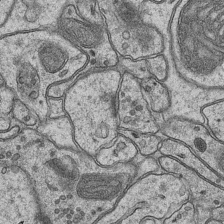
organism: Mouse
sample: CA1 Hippocampus